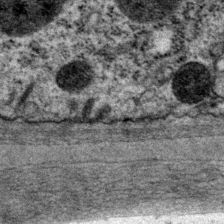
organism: P. pacificus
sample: Pharynx